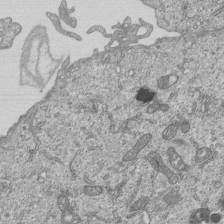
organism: Human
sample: MDA-MB-231 cells